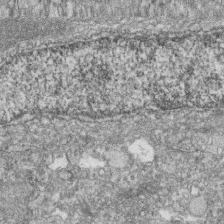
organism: Zebrafish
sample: Cilia; retinal pigment epithelium